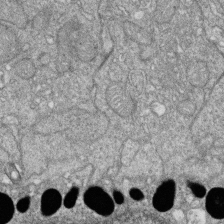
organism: Zebrafish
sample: Cilia; retinal pigment epithelium